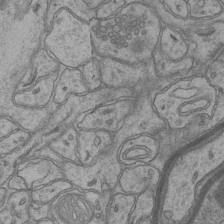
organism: Mouse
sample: CA1 Hippocampus